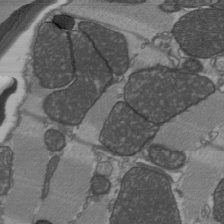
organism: C57BL Mouse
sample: Heart